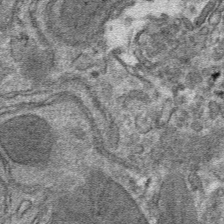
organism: Mouse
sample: Mouse hepatocytes